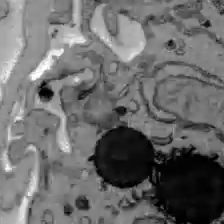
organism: C57BL Mouse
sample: Liver